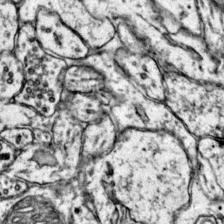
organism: Mouse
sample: Primary visual cortex